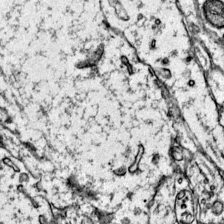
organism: Mouse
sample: Primary visual cortex